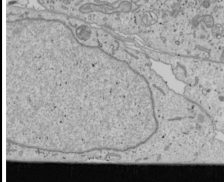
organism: Human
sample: Mitochondria in U2OS cells